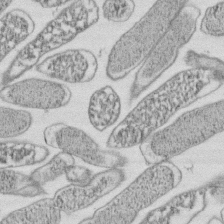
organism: E. coli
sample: Bacterial nucleoid